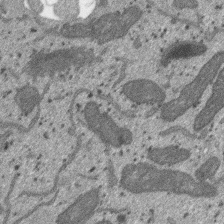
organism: Human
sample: Lung epithelial cells infected with SARS-CoV-2